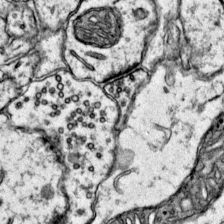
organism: Mouse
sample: Primary visual cortex